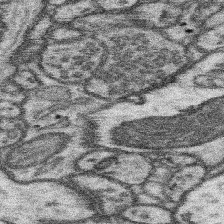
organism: Mouse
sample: Somatosensory cortex neuropil